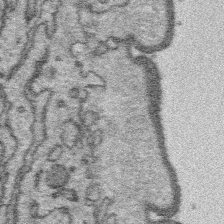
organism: Platynereis dumerilii